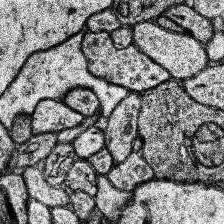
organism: Human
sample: Temporal Lobe